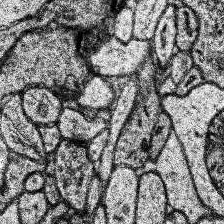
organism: Human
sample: Temporal Lobe